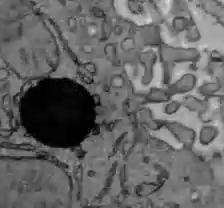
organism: C57BL Mouse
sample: Liver